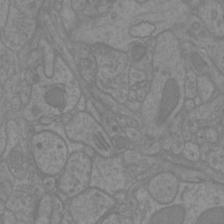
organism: Mouse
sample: Cortical neurons